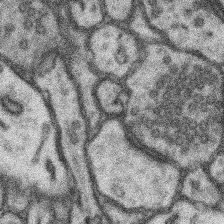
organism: Mouse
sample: Somatosensory cortex neuropil